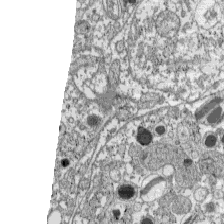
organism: C57BL Mouse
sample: Pancreatic islet